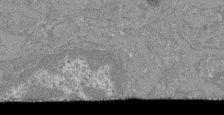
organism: Mouse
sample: Glomerulus